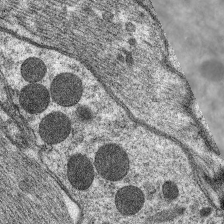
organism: C. elegans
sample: Pharynx